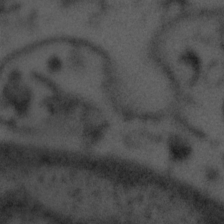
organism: Tuwongella immobilis